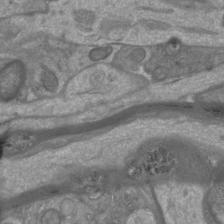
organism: Mouse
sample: Cortical neurons